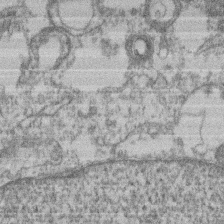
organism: Mouse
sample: T cell stromal cell synapse